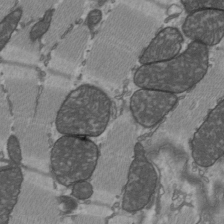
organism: C57BL Mouse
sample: Heart